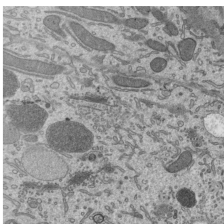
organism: Mouse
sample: Mouse epididymis efferent ductule cilia